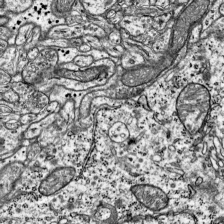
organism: Mouse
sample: Visual Cortex